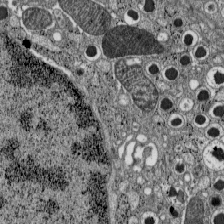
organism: C57BL Mouse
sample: Pancreatic islet